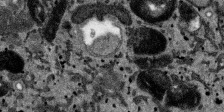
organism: Human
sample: Lung epithelial cells, uninfected (mock) control